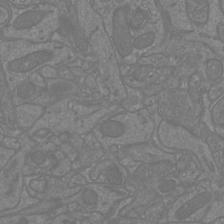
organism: Mouse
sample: Cortical neurons